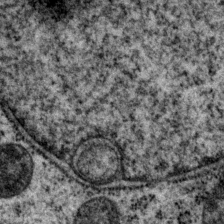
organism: P. pacificus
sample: Pharynx